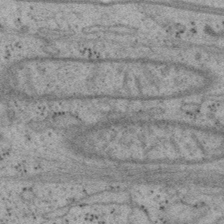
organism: Human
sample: HeLa cells